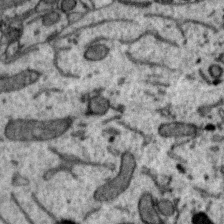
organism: Zebra finch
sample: Brain